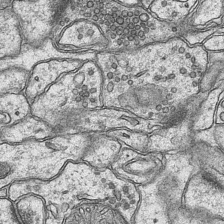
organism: Mouse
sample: CA1 Hippocampus